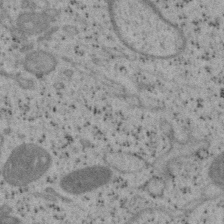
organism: Human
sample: HeLa cells